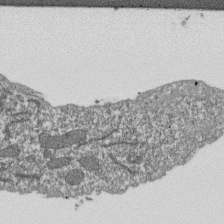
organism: Dictyostelium discoideum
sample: Dictyostelium multivesicular bodies